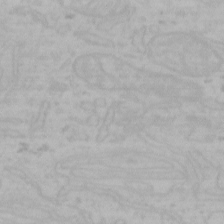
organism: Mouse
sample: Choroid plexus